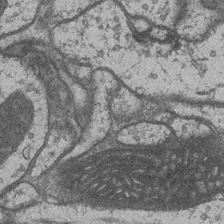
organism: Drosophila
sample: Optic medulla